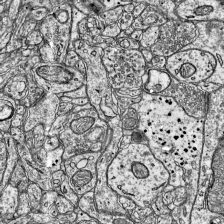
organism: Mouse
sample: Visual Cortex